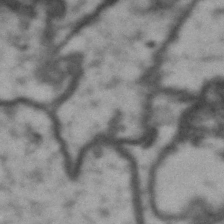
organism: Drosophila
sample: Brain